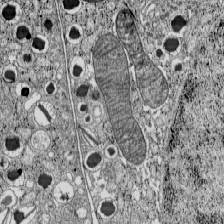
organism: C57BL Mouse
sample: Pancreatic islet